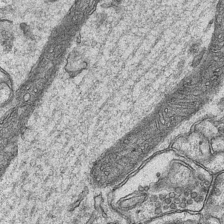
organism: Mouse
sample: CA1 Hippocampus